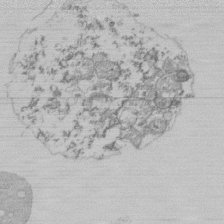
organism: Mouse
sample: Activated Pmel transgenic CD8+ T Cells